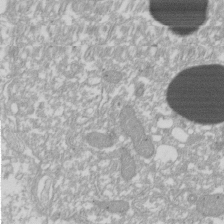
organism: Xenopus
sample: Cilia; centrioles in frog embryo cells